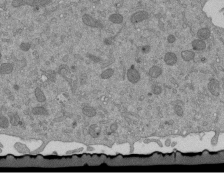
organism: Mouse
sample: ED-1 cell nuclei; centrioles